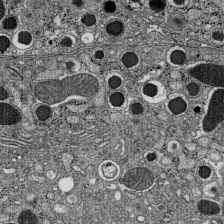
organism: C57BL Mouse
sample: Pancreatic islet